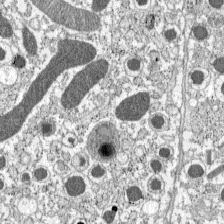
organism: C57BL Mouse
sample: Pancreatic islet